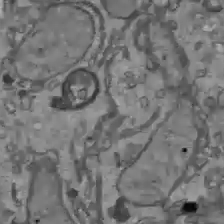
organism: C57BL Mouse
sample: Liver